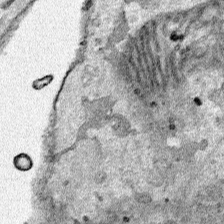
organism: Human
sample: Mitochondria in HCT116 cells